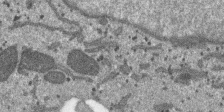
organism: Human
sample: Lung epithelial cells infected with SARS-CoV-2